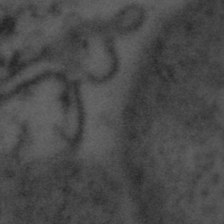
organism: Tuwongella immobilis